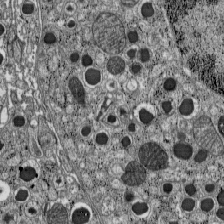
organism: C57BL Mouse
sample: Pancreatic islet